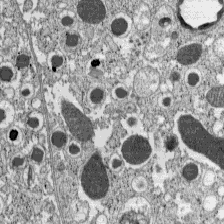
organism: C57BL Mouse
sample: Pancreatic islet